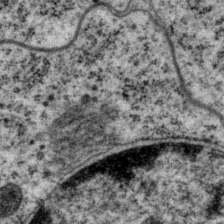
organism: P. pacificus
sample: Pharynx